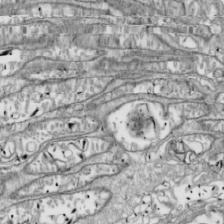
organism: Drosophila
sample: Cell division; meiosis; drosophila spermatocytes